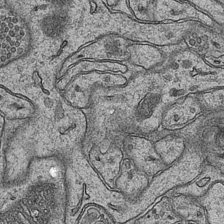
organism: Mouse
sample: CA1 Hippocampus